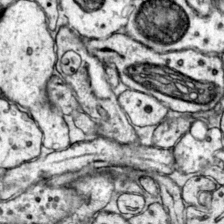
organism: Mouse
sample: Primary visual cortex